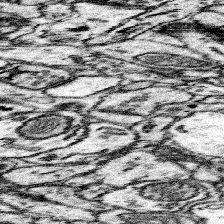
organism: Mouse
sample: Somatosensory cortex neuropil